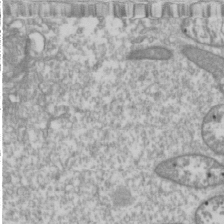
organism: Drosophila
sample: Cell division; meiosis; drosophila spermatocytes